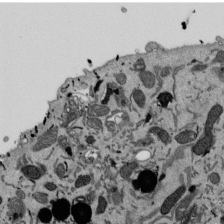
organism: Mouse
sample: ED-1 cell nuclei; centrioles